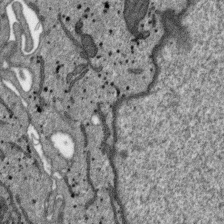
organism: Human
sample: Lung epithelial cells, uninfected (mock) control